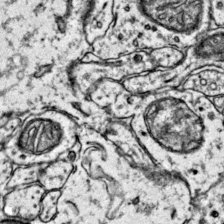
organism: Mouse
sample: Primary visual cortex